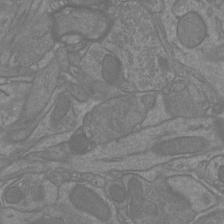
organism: Mouse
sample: Cortical neurons